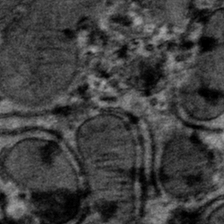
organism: Mouse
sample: Mouse hepatocytes